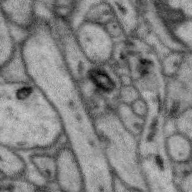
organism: Zebra finch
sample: Brain